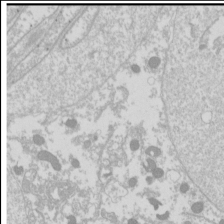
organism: Drosophila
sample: Cell division; meiosis; drosophila spermatocytes